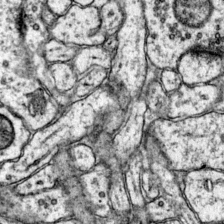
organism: Mouse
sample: Primary visual cortex